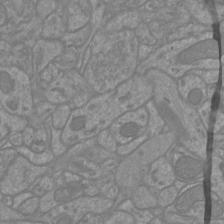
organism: Mouse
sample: Cortical neurons